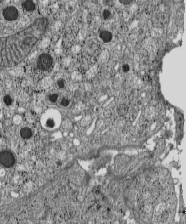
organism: C57BL Mouse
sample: Pancreatic islet